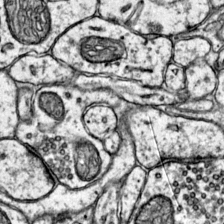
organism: Mouse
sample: Primary visual cortex